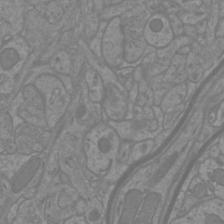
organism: Mouse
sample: Cortical neurons